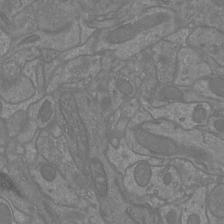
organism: Mouse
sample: Cortical neurons